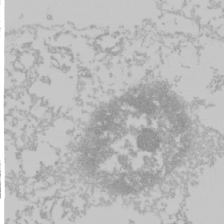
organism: Mouse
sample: Cancer cell death in ED-1 cells